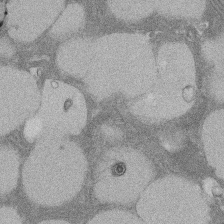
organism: Rat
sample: Salivary granule